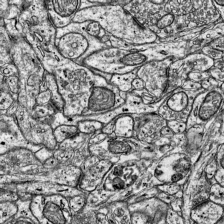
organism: Mouse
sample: Visual Cortex